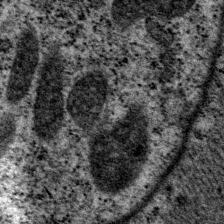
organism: P. pacificus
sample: Pharynx